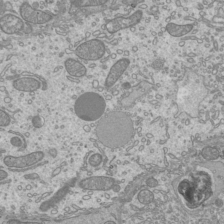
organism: Mouse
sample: Cilia; mouse epididymis